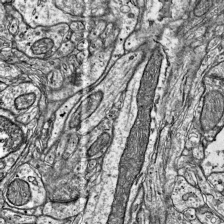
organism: Mouse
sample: Visual Cortex